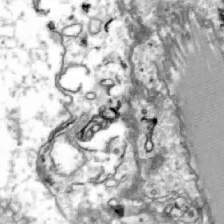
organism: Zebrafish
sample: Actinotrichia fibers